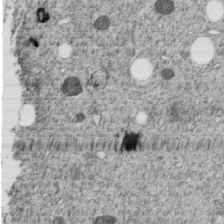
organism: C. elegans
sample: C. elegans embryo early stage